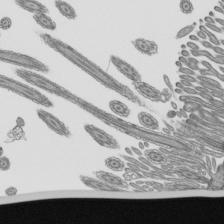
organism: Mouse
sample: Mouse epididymis efferent ductule cilia